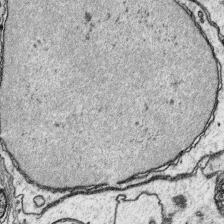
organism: Platynereis dumerilii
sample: Parapodia